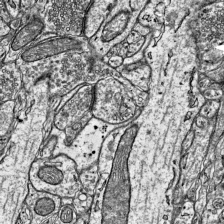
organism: Mouse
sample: Visual Cortex